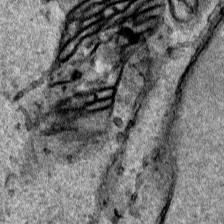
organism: Human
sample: Mitochondria in HCT116 cells